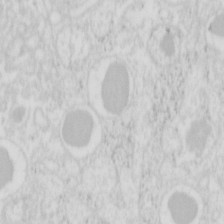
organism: Mouse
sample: Pancreas